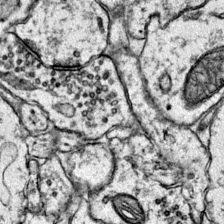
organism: Mouse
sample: Primary visual cortex